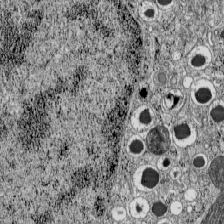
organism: C57BL Mouse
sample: Pancreatic islet